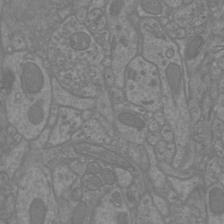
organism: Mouse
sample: Cortical neurons